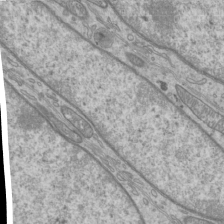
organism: Mouse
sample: Cilia; mouse epididymis